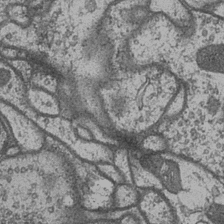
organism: Drosophila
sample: Optic medulla